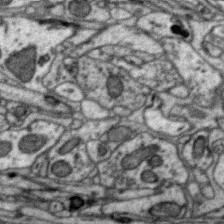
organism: Zebra finch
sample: Brain